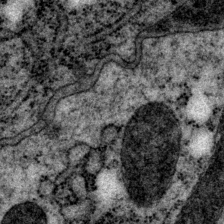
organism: P. pacificus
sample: Pharynx